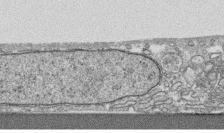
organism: Human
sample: CRL-1474